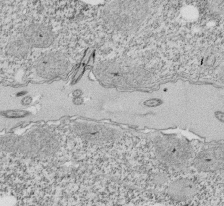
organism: Tetrahymena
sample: Cilia in tetrahymena